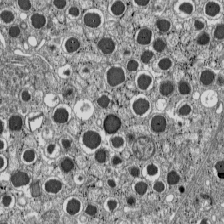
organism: C57BL Mouse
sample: Pancreatic islet